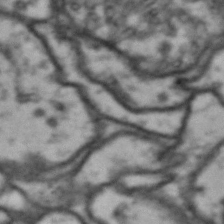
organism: Drosophila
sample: Brain